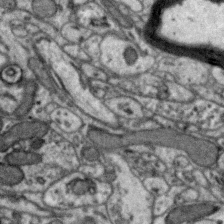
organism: Zebra finch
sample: Brain